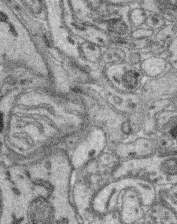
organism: Mouse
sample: Retina